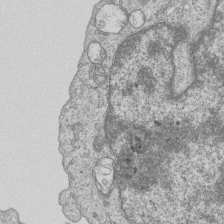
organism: Human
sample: MDA-MB-231 cells